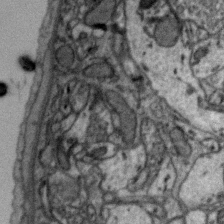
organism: Zebra finch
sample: Brain